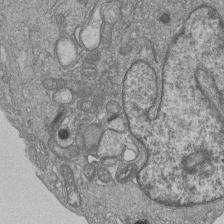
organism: Human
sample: MDA-MB-231 cells